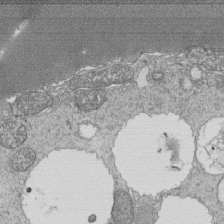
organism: Tetrahymena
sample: Cilia in tetrahymena